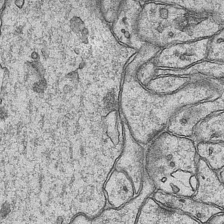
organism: Mouse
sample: CA1 Hippocampus